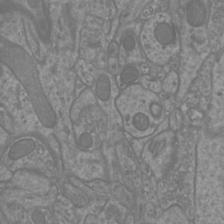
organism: Mouse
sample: Cortical neurons